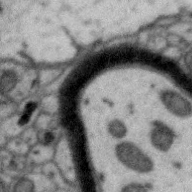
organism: Zebra finch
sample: Brain